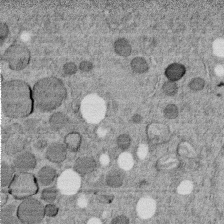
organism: C. elegans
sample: C. elegans embryo early stage